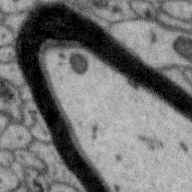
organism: Zebra finch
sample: Brain